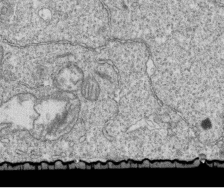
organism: Human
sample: HeLa cell HIV synapse